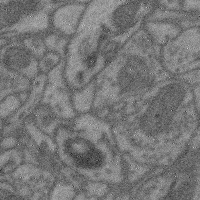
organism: Mouse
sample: Cerebral cortex